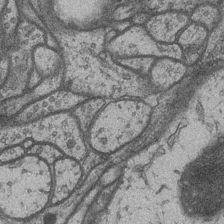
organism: Drosophila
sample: Optic medulla